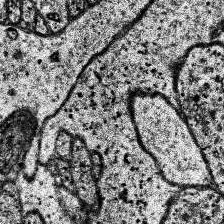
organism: Human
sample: Temporal Lobe